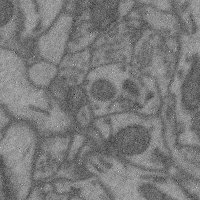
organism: Mouse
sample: Cerebral cortex